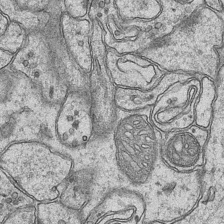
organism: Mouse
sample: CA1 Hippocampus